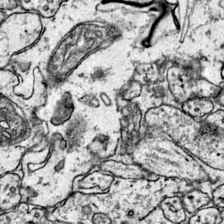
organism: Mouse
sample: Primary visual cortex